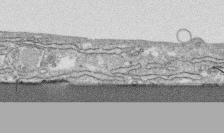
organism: Human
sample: CRL-1474